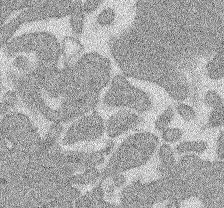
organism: Human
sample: HeLa cells